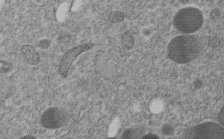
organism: C. elegans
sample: C. elegans embryo early stage